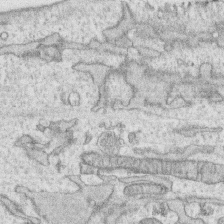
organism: Human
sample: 1205lu cells